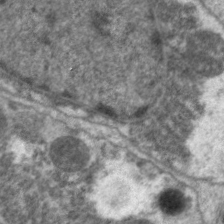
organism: C. elegans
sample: Pharynx